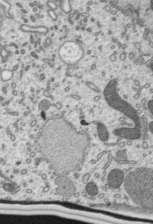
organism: Mouse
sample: Mouse epididymis efferent ductule cilia